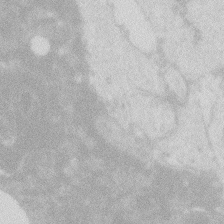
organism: Zebrafish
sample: Macrophage